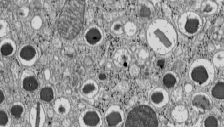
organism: C57BL Mouse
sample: Pancreatic islet